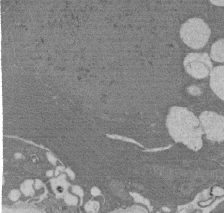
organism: Rat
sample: Salivary granule